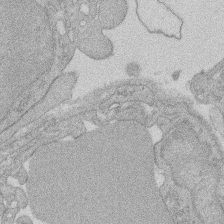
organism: Rat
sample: Salivary granule